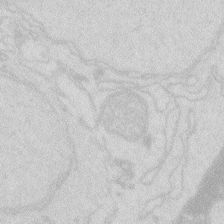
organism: Zebrafish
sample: Macrophage